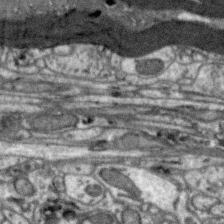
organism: Zebra finch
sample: Brain